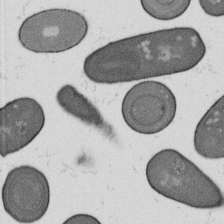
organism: B. subtilis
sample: Bacterial spore